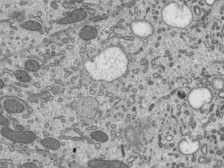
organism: Mouse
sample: Mouse epididymis efferent ductule cilia